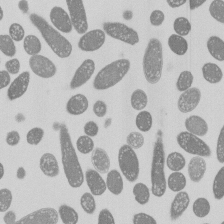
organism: E. coli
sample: Bacterial nucleoid